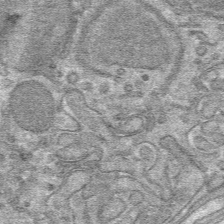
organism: Mouse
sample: Mouse hepatocytes